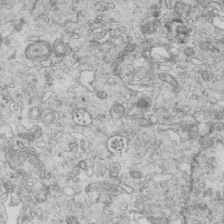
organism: Mouse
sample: Multiciliated cells